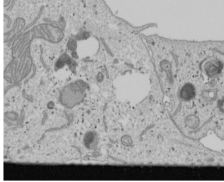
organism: Human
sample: Mitochondria in U2OS cells